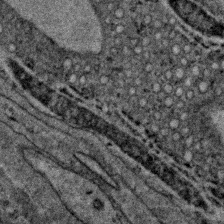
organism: C. elegans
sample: C. elegans embryo